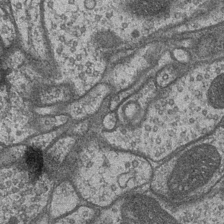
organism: Drosophila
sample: Optic medulla